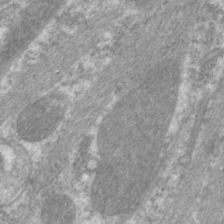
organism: C. elegans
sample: Pharynx